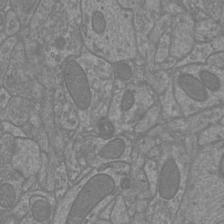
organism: Mouse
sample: Cortical neurons